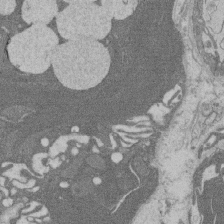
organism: Rat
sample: Salivary granule